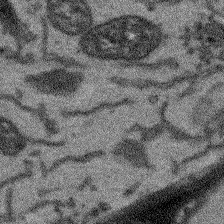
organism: Arabidopsis thaliana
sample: Root tip